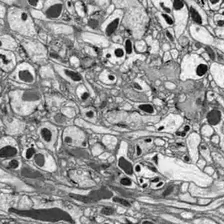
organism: Drosophila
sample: Optic lobe